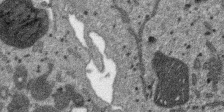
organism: Human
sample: Lung epithelial cells infected with SARS-CoV-2